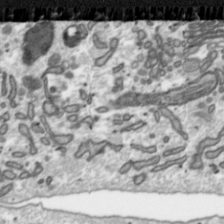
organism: Toxoplasma gondii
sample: Parasites in a vacuole inside a host cell